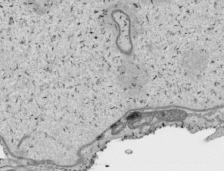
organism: Human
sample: Mitochondria in HCT116 cells